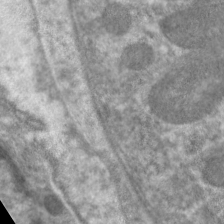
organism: C. elegans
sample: Pharynx